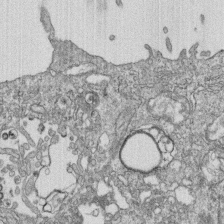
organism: Human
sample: HeLa cell HIV synapse